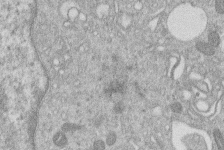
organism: Human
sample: Macrophage cells